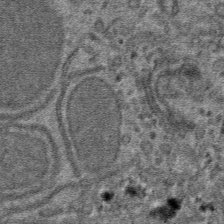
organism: Mouse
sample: Mouse hepatocytes